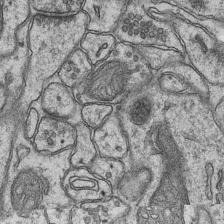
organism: Mouse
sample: CA1 Hippocampus